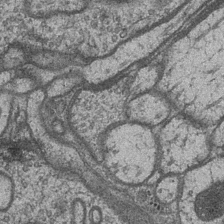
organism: Drosophila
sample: Optic medulla